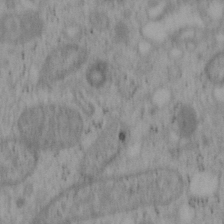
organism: Mouse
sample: OT-I killer T cells with ID8 ovarian cancer cells